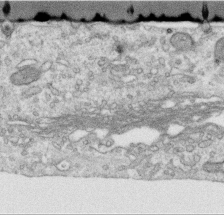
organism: Human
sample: Centriole in RPE cells